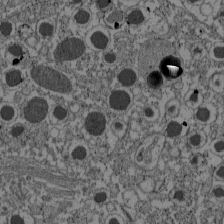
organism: C57BL Mouse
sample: Pancreatic islet